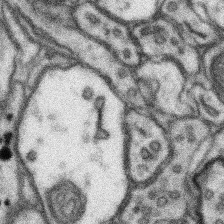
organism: Mouse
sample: Somatosensory cortex neuropil